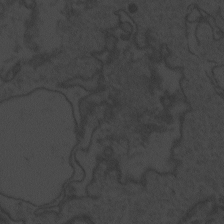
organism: Zebrafish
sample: Macrophage infected with Toxoplasma gondii